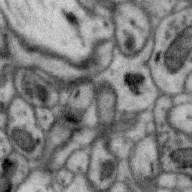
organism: Zebra finch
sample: Brain